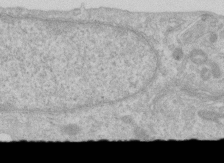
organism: Human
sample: Centriole in RPE cells